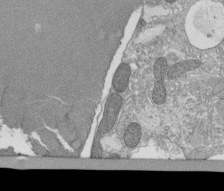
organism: Tetrahymena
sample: Cilia in tetrahymena